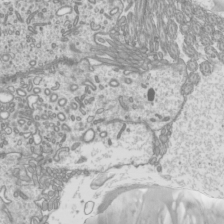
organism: Mouse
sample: Cilia; mouse epididymis